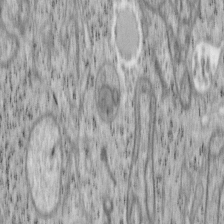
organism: Human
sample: HeLa cells